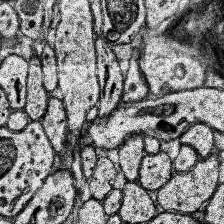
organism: Human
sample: Temporal Lobe